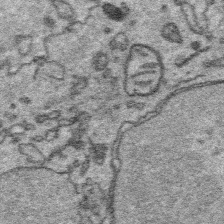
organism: Platynereis dumerilii